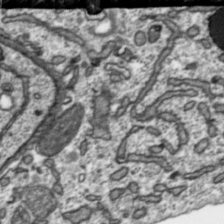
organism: Toxoplasma gondii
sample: Parasites in a vacuole inside a host cell